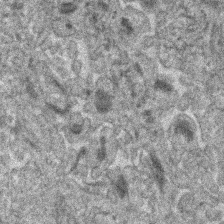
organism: Human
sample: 1205lu cells